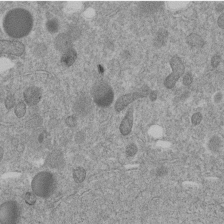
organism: C. elegans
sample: C. elegans embryo early stage